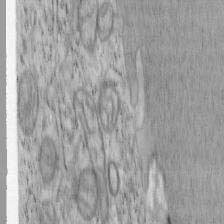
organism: Human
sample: HeLa cells